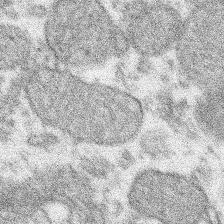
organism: Xenopus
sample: Cilia; centrioles in frog embryo cells